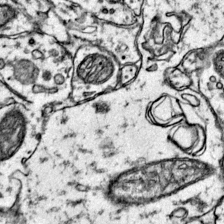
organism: Mouse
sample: Primary visual cortex